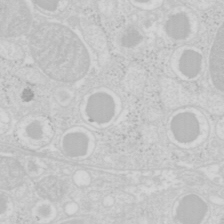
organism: Mouse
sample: Pancreas